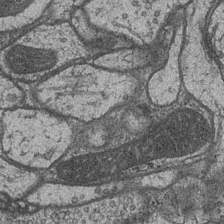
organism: Drosophila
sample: Optic medulla